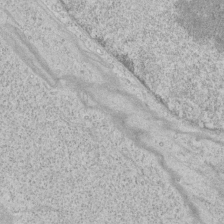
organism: Human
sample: Mitochondria in HCT116 cells